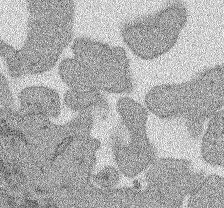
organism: Human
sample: HeLa cells